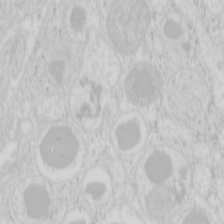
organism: Mouse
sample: Pancreas